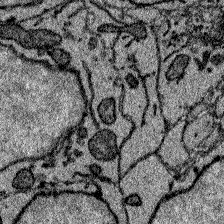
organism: Zebrafish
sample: Larval olfactory bulb